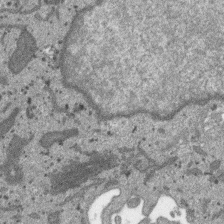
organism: Human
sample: Lung epithelial cells infected with SARS-CoV-2